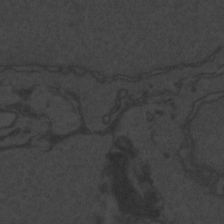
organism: Zebrafish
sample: Macrophage infected with Toxoplasma gondii